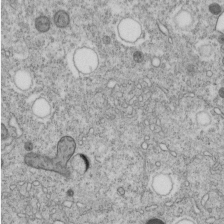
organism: C. elegans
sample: C. elegans embryo early stage